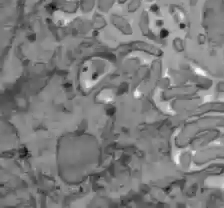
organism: C57BL Mouse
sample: Liver